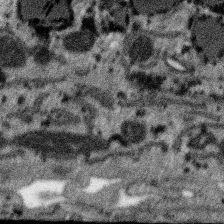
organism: Human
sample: Lung epithelial cells infected with SARS-CoV-2